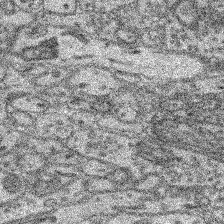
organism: Mouse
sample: Retina